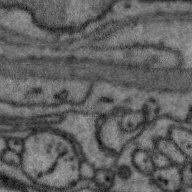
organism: Zebra finch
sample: Brain